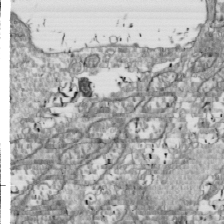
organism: Drosophila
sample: Cell division; meiosis; drosophila spermatocytes